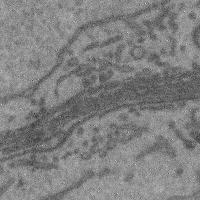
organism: Mouse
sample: Cerebral cortex